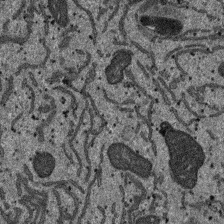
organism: Human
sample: Lung epithelial cells infected with SARS-CoV-2